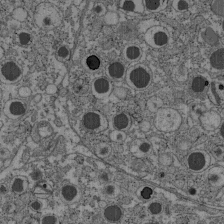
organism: C57BL Mouse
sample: Pancreatic islet